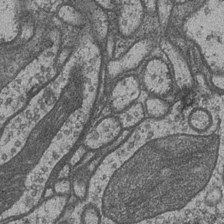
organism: Drosophila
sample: Optic medulla